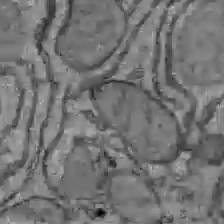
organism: C57BL Mouse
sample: Liver